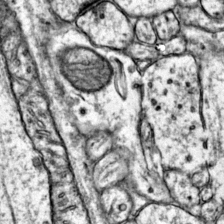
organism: Mouse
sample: Primary visual cortex